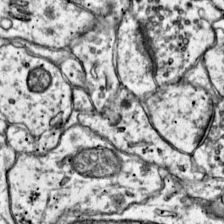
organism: Mouse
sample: Primary visual cortex